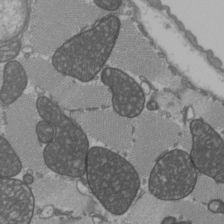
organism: C57BL Mouse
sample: Heart